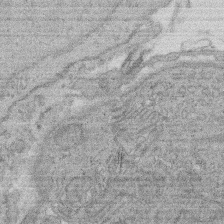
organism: Rat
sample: Salivary granule